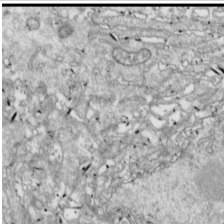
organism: Drosophila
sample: Cell division; meiosis; drosophila spermatocytes